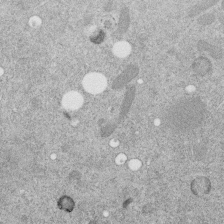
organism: C. elegans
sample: C. elegans embryo early stage